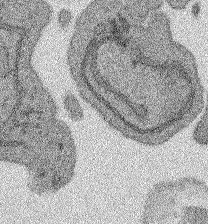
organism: Human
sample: HeLa cells